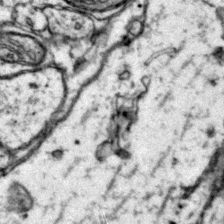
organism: Mouse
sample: Primary visual cortex